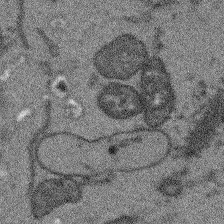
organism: Arabidopsis thaliana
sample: Root tip